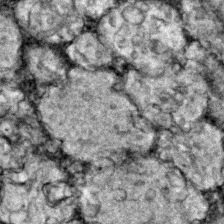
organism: Zebrafish